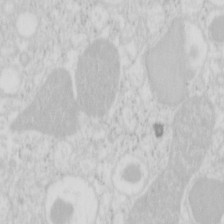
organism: Mouse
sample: Pancreas